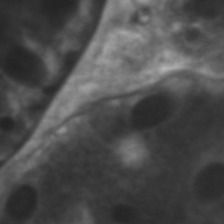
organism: C. elegans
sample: Pharynx